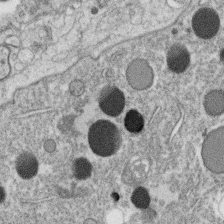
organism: C. elegans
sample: C. elegans oocyte; sperm cells